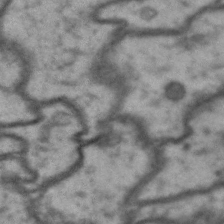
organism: Drosophila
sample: Brain